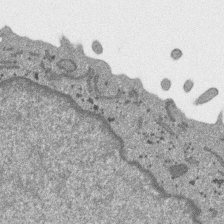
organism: Human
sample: Lung epithelial cells infected with SARS-CoV-2